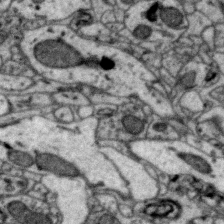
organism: Zebra finch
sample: Brain